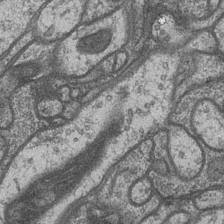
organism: Drosophila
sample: Optic medulla